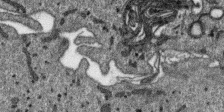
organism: Human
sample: Lung epithelial cells infected with SARS-CoV-2